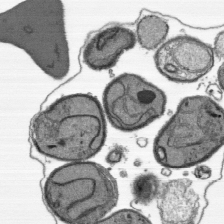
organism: Plasmodium falciparum